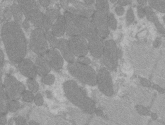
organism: C57BL Mouse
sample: Tibialis anterior muscle cell